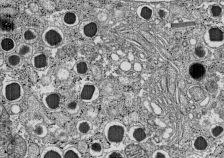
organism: C57BL Mouse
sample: Pancreatic islet